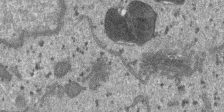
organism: Human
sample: Lung epithelial cells infected with SARS-CoV-2